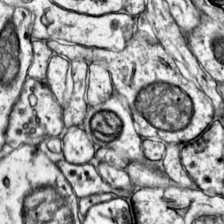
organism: Mouse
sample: Primary visual cortex